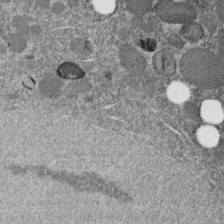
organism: C. elegans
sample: C. elegans embryo early stage